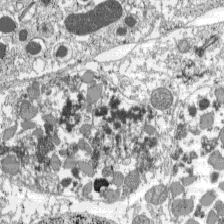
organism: C57BL Mouse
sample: Pancreatic islet